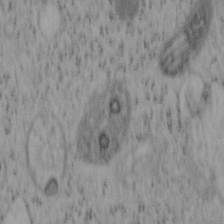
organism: Mouse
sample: OT-I killer T cells with ID8 ovarian cancer cells